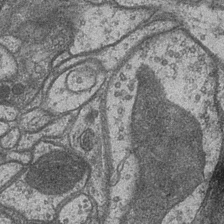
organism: Drosophila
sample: Optic medulla